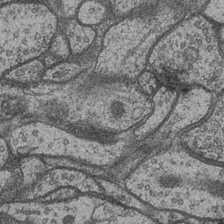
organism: Drosophila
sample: Optic medulla